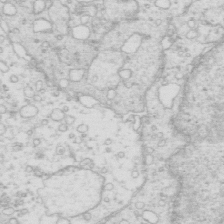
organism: Mouse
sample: Multiciliated cells